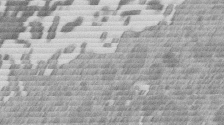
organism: Mouse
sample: Dividing mouse embryo 1 cell stage